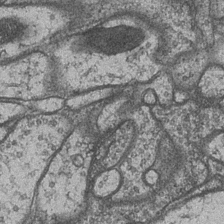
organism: Drosophila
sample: Optic medulla